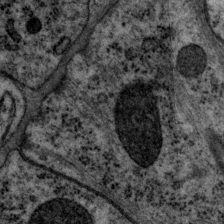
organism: P. pacificus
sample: Pharynx